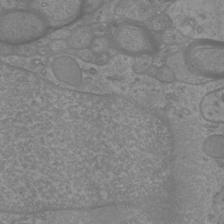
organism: Mouse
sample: Cortical neurons